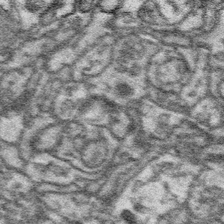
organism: Platynereis dumerilii